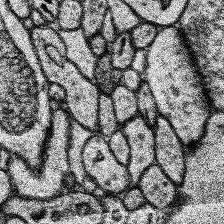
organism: Human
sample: Temporal Lobe